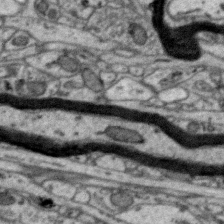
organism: Zebra finch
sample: Brain